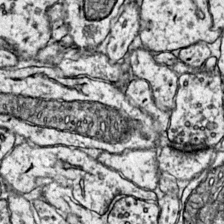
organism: Mouse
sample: Primary visual cortex